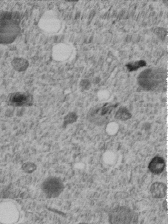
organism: C. elegans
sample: C. elegans embryo early stage